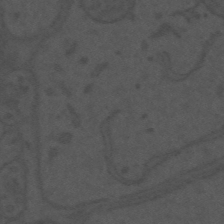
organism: Mouse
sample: Suprachiasmatic nucleus